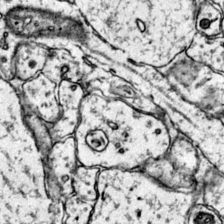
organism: Mouse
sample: Primary visual cortex